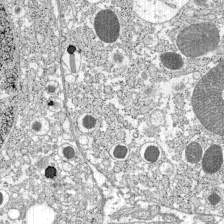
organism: C57BL Mouse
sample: Pancreatic islet